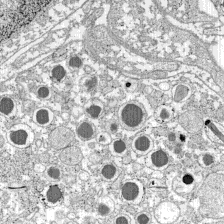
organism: C57BL Mouse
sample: Pancreatic islet